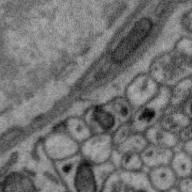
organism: Zebra finch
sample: Brain